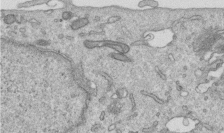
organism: Human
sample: Centriole in RPE cells